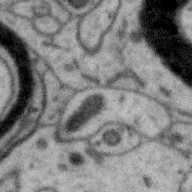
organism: Zebra finch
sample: Brain